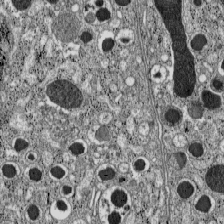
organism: C57BL Mouse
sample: Pancreatic islet